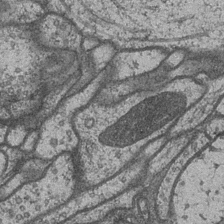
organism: Drosophila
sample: Optic medulla